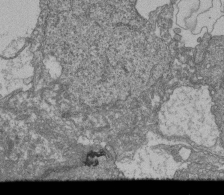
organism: Human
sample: Retinal organoid Rod and Cone cells